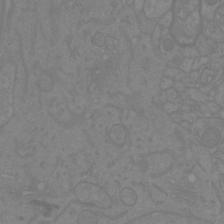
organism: Mouse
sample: Cortical neurons